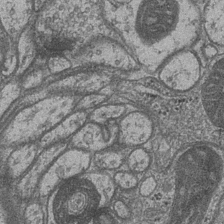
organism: Drosophila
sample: Optic medulla